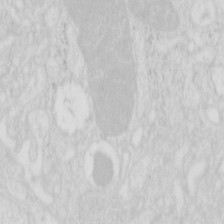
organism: Mouse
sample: Pancreas